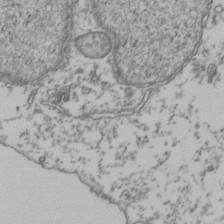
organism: Human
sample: Activated Jurkat CD4+ T cells